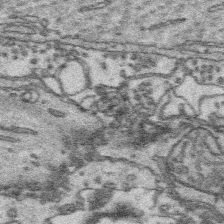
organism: Platynereis dumerilii